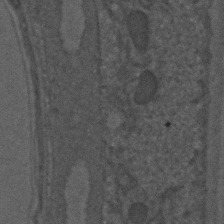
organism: C. elegans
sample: C. elegans embryo